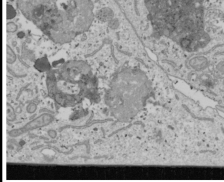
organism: Human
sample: Mitochondria in U2OS cells